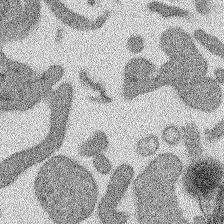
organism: Human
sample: HeLa cells